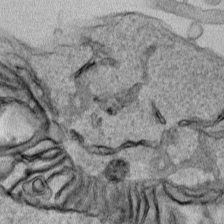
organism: Human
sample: Mitochondria in HCT116 cells